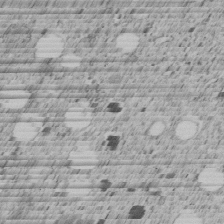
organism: C. elegans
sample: C. elegans embryo early stage